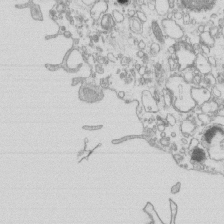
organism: Mouse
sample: Macrophages